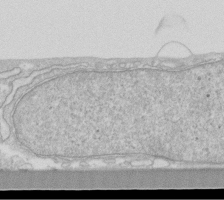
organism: Human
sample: Fibroblast cells